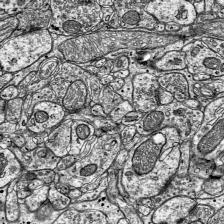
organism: Mouse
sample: Visual Cortex